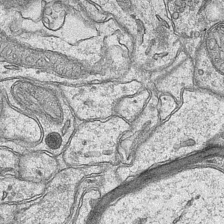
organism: Mouse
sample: CA1 Hippocampus